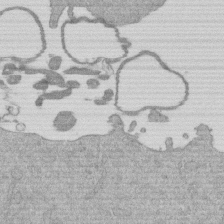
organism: Mouse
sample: Dividing mouse embryo 1 cell stage